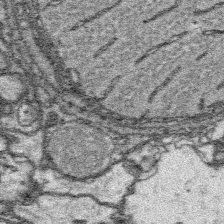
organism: Platynereis dumerilii